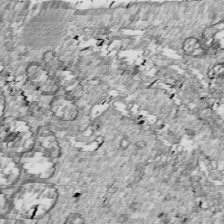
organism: Drosophila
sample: Cell division; meiosis; drosophila spermatocytes